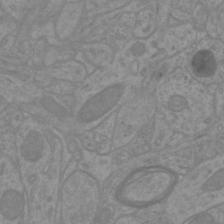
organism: Mouse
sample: Cortical neurons